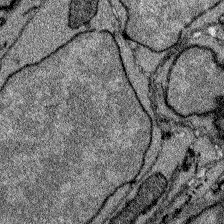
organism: Zebrafish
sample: Larval olfactory bulb